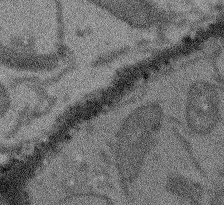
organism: Arabidopsis thaliana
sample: Root tip